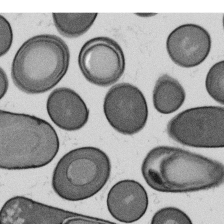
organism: B. subtilis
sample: Bacterial spore